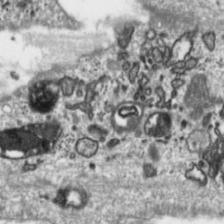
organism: Toxoplasma gondii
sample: Parasites in a vacuole inside a host cell